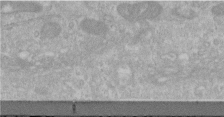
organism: Human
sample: Centriole in RPE cells